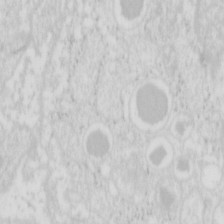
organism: Mouse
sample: Pancreas